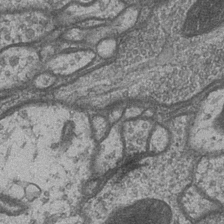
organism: Drosophila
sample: Optic medulla